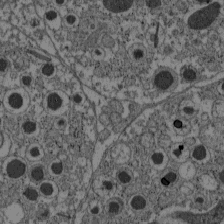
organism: C57BL Mouse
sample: Pancreatic islet